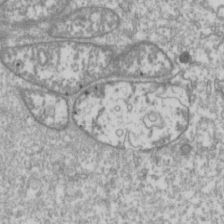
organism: Drosophila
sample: Cell division; meiosis; drosophila spermatocytes